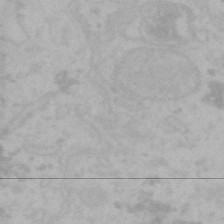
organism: Mouse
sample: Choroid plexus